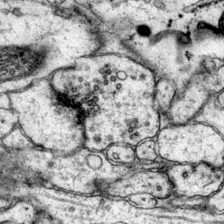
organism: Mouse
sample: Primary visual cortex